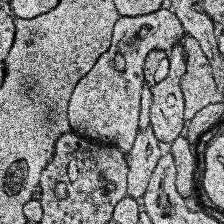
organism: Human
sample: Temporal Lobe